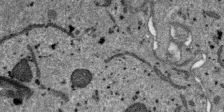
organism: Human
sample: Lung epithelial cells, uninfected (mock) control